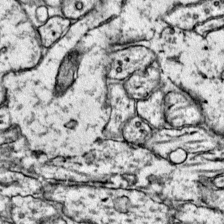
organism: Mouse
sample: Primary visual cortex